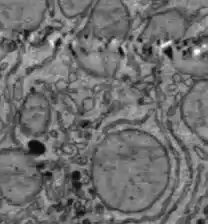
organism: C57BL Mouse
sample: Liver